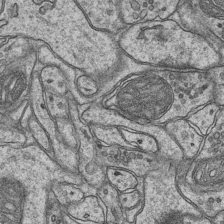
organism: Mouse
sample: CA1 Hippocampus